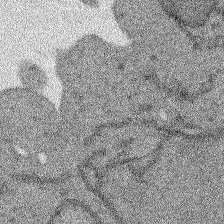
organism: Human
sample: HeLa cells